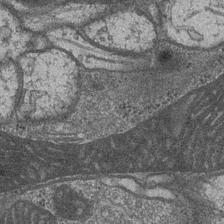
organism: Drosophila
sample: Optic medulla